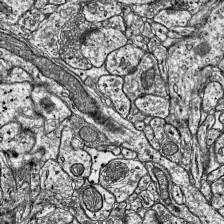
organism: Mouse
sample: Visual Cortex